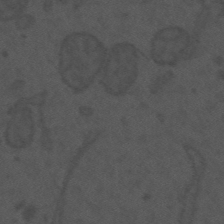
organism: Mouse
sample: Suprachiasmatic nucleus